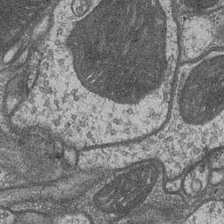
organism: Drosophila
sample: Optic medulla